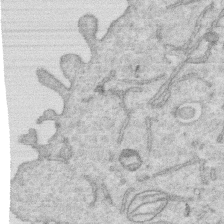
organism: Human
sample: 1205lu cells